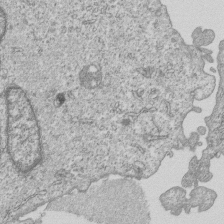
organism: Human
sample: MDA-MB-231 cells